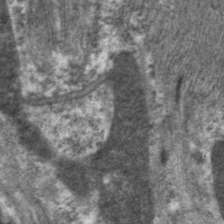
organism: C. elegans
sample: Pharynx